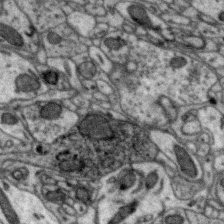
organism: Zebra finch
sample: Brain